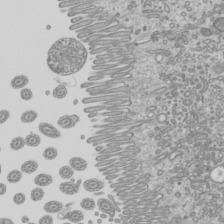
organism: Mouse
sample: Cilia; mouse epididymis